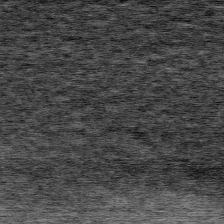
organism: Human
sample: HeLa cells